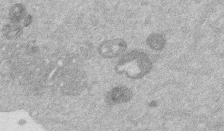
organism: Mouse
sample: Dividing mouse embryo 1 cell stage